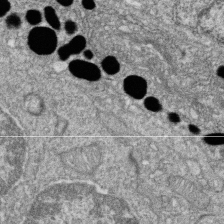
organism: Zebrafish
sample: Cilia; retinal pigment epithelium